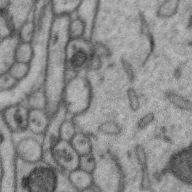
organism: Zebra finch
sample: Brain